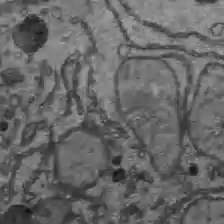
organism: C57BL Mouse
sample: Liver